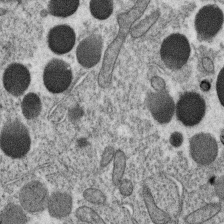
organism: C. elegans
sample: C. elegans oocyte; sperm cells